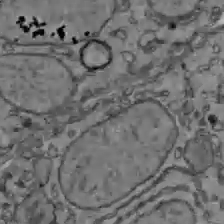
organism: C57BL Mouse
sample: Liver